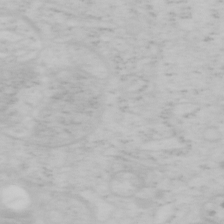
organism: Mouse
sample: OT-I killer T cells with ID8 ovarian cancer cells